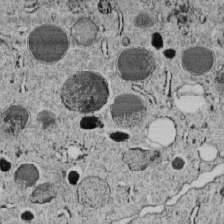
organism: C. elegans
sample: C. elegans embryo early stage